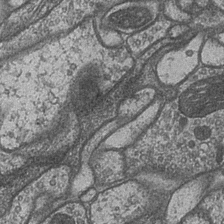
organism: Drosophila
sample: Optic medulla